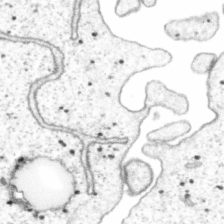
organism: Human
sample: HeLa cells